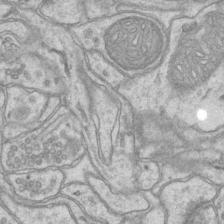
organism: Mouse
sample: CA1 Hippocampus